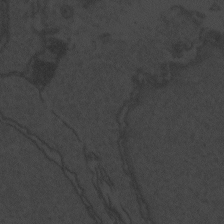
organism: Zebrafish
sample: Macrophage infected with Toxoplasma gondii